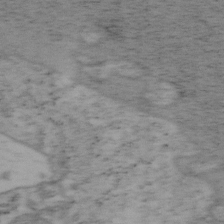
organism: Mouse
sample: OT-I killer T cells with ID8 ovarian cancer cells